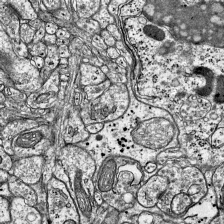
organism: Mouse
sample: Visual Cortex